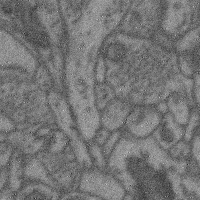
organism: Mouse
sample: Cerebral cortex